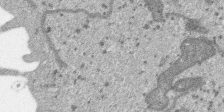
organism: Human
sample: Lung epithelial cells infected with SARS-CoV-2